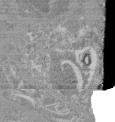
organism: Mouse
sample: Glomerulus